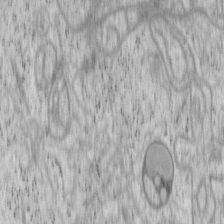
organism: Human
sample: HeLa cells